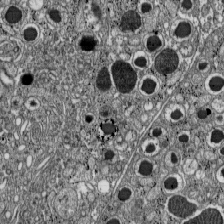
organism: C57BL Mouse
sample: Pancreatic islet